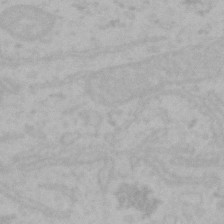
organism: Mouse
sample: Choroid plexus